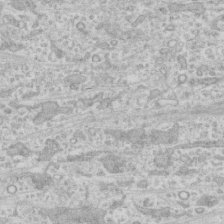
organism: Human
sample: CRL-1474